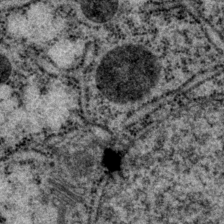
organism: P. pacificus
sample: Pharynx